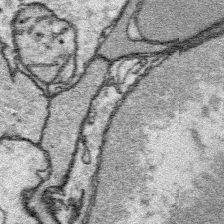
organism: Platynereis dumerilii